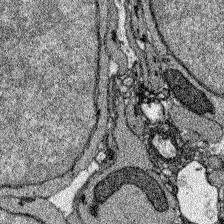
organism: Zebrafish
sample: Larval olfactory bulb